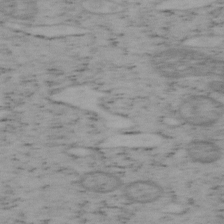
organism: Mouse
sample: OT-I killer T cells with ID8 ovarian cancer cells